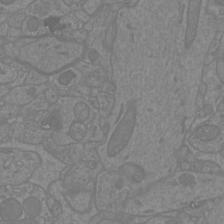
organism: Mouse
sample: Cortical neurons